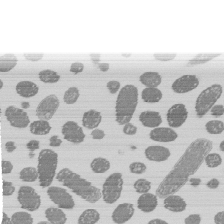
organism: E. coli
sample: Bacterial nucleoid